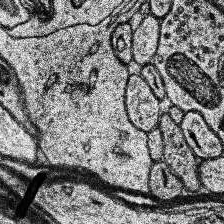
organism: Human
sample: Temporal Lobe